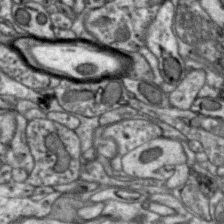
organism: Zebra finch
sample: Brain